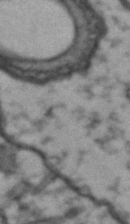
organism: Drosophila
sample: Brain